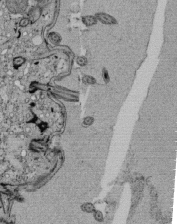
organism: Tetrahymena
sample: Cilia in tetrahymena